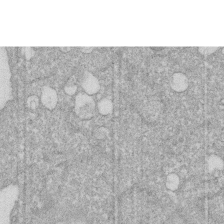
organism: Human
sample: HIV infected U937 cells